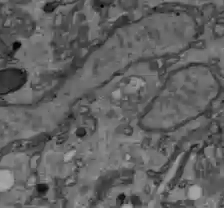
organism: C57BL Mouse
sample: Liver